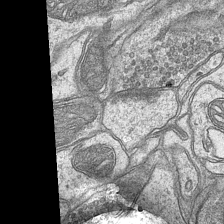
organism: Mouse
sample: CA1 Hippocampus